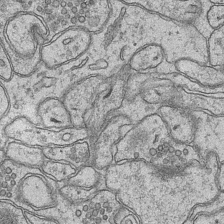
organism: Mouse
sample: CA1 Hippocampus